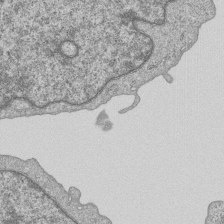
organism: Human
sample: MDA-MB-231 cells